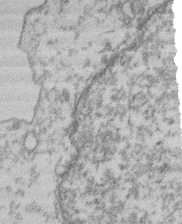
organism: Mouse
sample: T cell stromal cell synapse